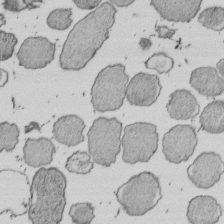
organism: E. coli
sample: Bacterial nucleoid